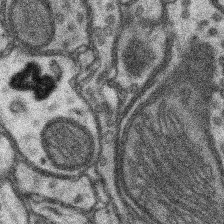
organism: Mouse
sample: Somatosensory cortex neuropil